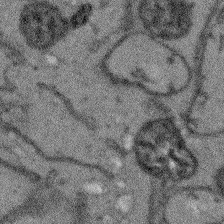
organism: Arabidopsis thaliana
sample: Root tip